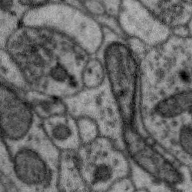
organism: Zebra finch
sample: Brain